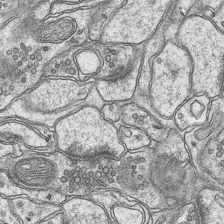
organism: Mouse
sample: CA1 Hippocampus